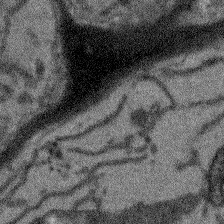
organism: Arabidopsis thaliana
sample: Root tip